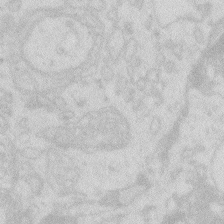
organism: Zebrafish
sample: Macrophage